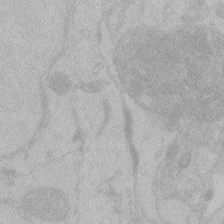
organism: Zebrafish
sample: Macrophage infected with Toxoplasma gondii